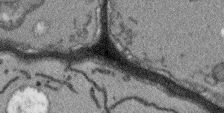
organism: Arabidopsis thaliana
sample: Root tip